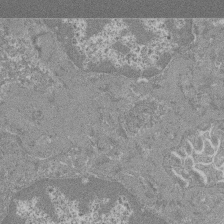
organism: Mouse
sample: Glomerulus